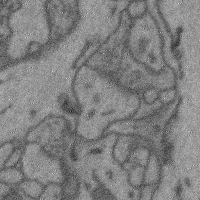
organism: Mouse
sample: Cerebral cortex